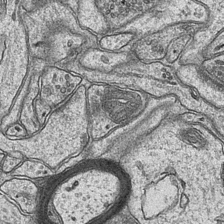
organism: Mouse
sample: CA1 Hippocampus